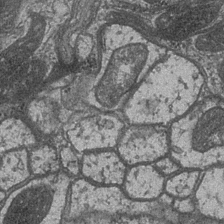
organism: Drosophila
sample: Optic medulla